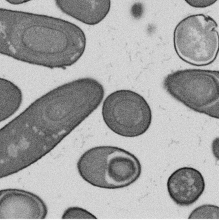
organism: B. subtilis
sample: Bacterial spore